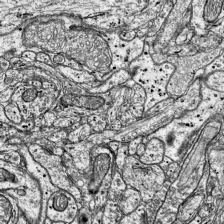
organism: Mouse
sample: Visual Cortex